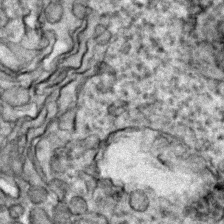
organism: Zebrafish